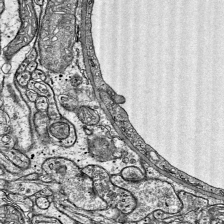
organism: Mouse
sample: Visual Cortex